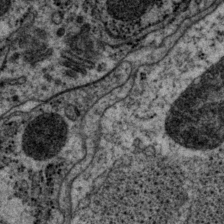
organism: P. pacificus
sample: Pharynx